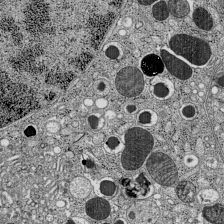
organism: C57BL Mouse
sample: Pancreatic islet